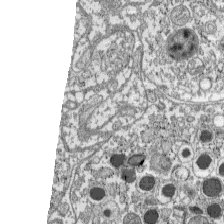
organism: C57BL Mouse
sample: Pancreatic islet